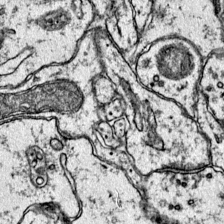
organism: Mouse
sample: Primary visual cortex